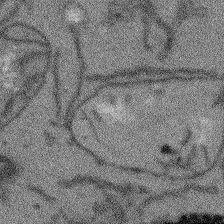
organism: Arabidopsis thaliana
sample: Root tip